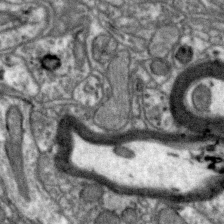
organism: Zebra finch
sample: Brain